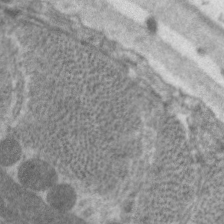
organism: C. elegans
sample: Pharynx